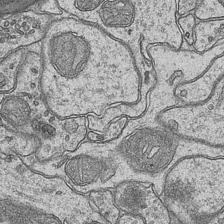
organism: Mouse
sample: CA1 Hippocampus